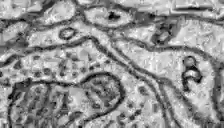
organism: Zebrafish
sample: Brain